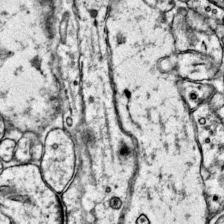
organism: Mouse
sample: Primary visual cortex